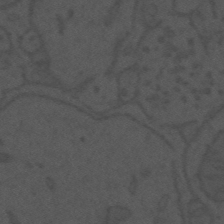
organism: Mouse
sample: Suprachiasmatic nucleus